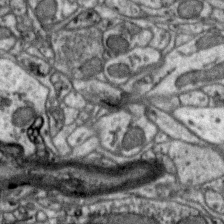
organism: Zebra finch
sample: Brain